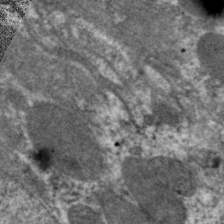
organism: C. elegans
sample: Pharynx